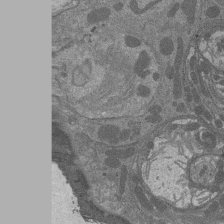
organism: Drosophila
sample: Antenna